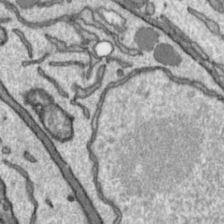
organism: Toxoplasma gondii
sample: Parasites in a vacuole inside a host cell